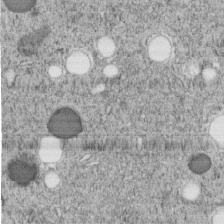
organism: C. elegans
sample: C. elegans embryo early stage